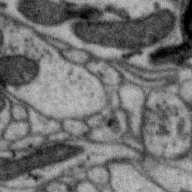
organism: Zebra finch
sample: Brain